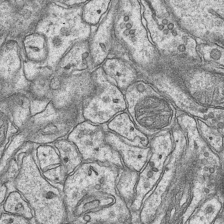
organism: Mouse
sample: CA1 Hippocampus